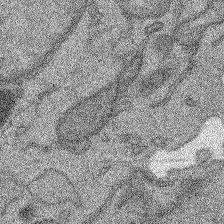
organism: Human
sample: HeLa cells